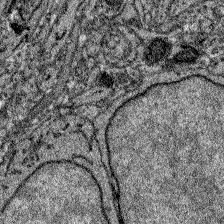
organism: Zebrafish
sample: Larval olfactory bulb